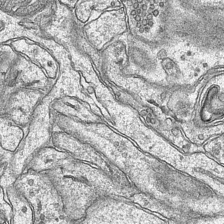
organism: Mouse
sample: CA1 Hippocampus